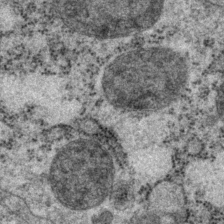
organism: P. pacificus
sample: Pharynx